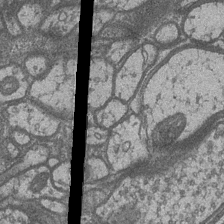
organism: Drosophila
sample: Optic medulla